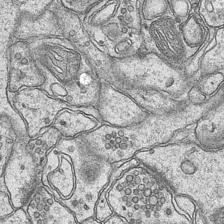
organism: Mouse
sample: CA1 Hippocampus